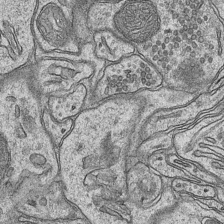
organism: Mouse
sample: CA1 Hippocampus